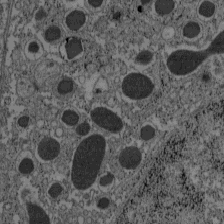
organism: C57BL Mouse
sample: Pancreatic islet